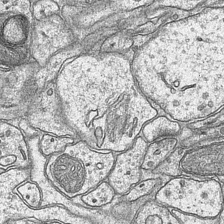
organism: Mouse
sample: CA1 Hippocampus